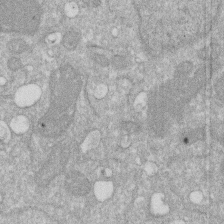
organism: Human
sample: HIV infected U937 cells